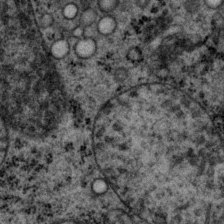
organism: P. pacificus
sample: Pharynx